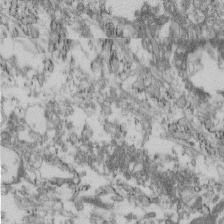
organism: Mouse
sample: Cilia; retinal pigment epithelium